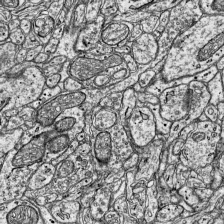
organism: Mouse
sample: Visual Cortex